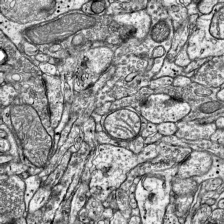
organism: Mouse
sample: Visual Cortex